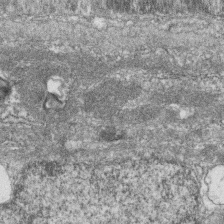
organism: Zebrafish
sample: Cilia; retinal pigment epithelium